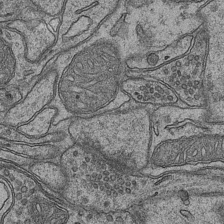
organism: Mouse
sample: CA1 Hippocampus